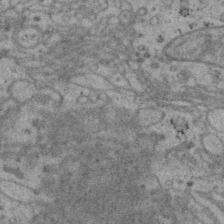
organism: Human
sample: HeLa cells